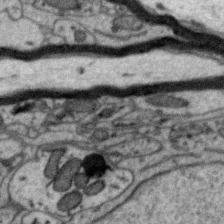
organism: Zebra finch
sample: Brain